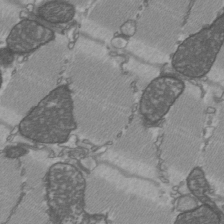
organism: C57BL Mouse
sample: Heart